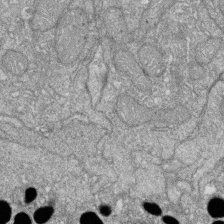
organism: Zebrafish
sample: Cilia; retinal pigment epithelium